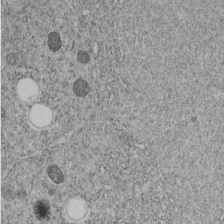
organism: C. elegans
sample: C. elegans embryo early stage